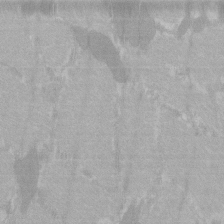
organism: C57BL Mouse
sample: Tibialis anterior muscle cell